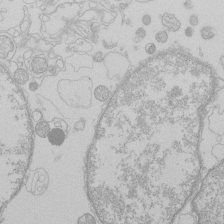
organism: Human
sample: Macrophage cells